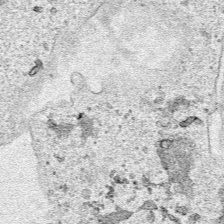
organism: Human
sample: Mitochondria in HCT116 cells